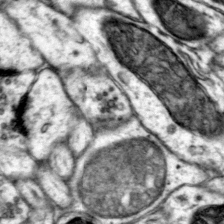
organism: Mouse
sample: Primary visual cortex